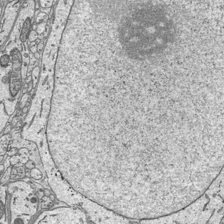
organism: Mouse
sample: Suprachiasmatic nucleus